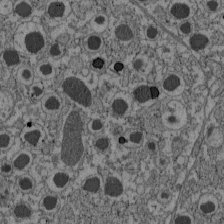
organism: C57BL Mouse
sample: Pancreatic islet